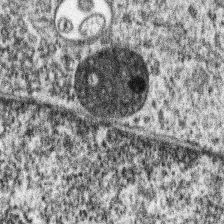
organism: Human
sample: HeLa cells